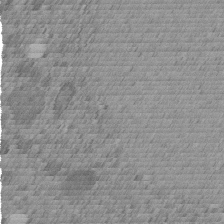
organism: C. elegans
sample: C. elegans embryo early stage